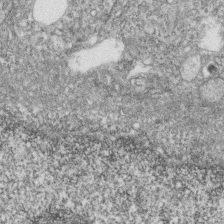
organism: Zebrafish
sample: Cilia; retinal pigment epithelium